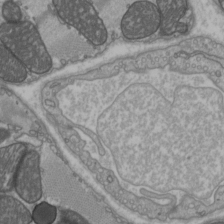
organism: C57BL Mouse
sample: Heart